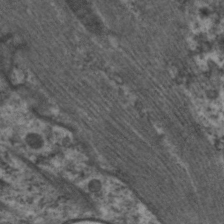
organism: C. elegans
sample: Pharynx